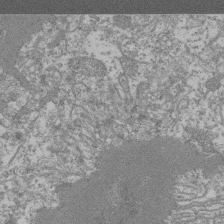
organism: Mouse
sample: Glomerulus